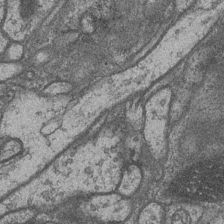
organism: Drosophila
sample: Optic medulla